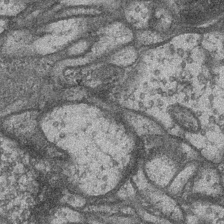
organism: Drosophila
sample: Optic medulla